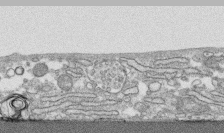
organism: Human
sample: CRL-1474